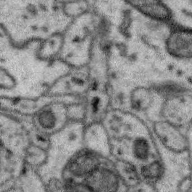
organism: Zebra finch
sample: Brain